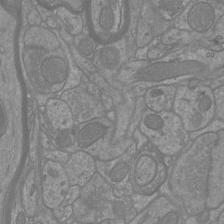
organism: Mouse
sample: Cortical neurons